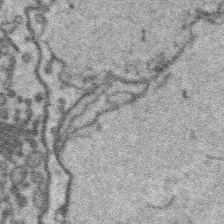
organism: Platynereis dumerilii